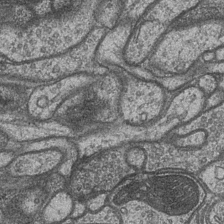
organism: Drosophila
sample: Optic medulla